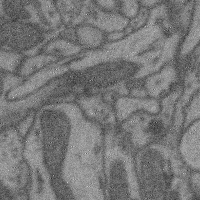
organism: Mouse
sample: Cerebral cortex